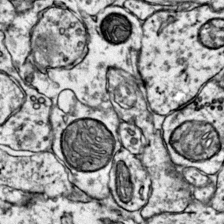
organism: Mouse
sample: Primary visual cortex